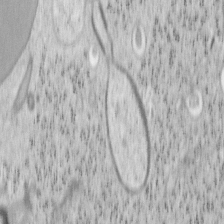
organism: Human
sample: HeLa cells